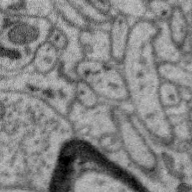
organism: Zebra finch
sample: Brain